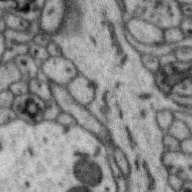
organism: Zebra finch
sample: Brain